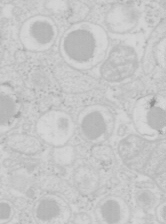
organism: Mouse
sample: Pancreas